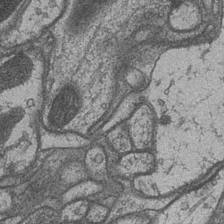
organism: Drosophila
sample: Optic medulla